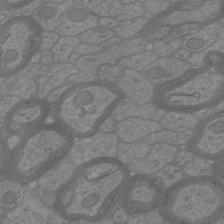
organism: Mouse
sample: Cortical neurons